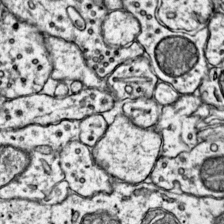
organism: Mouse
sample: Primary visual cortex